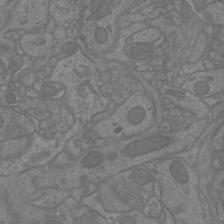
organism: Mouse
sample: Cortical neurons